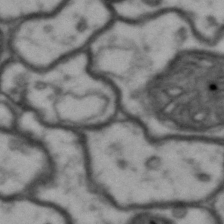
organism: Drosophila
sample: Brain